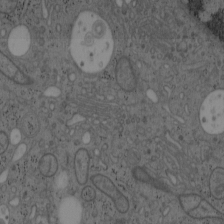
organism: Mouse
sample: OT-I killer T cells with ID8 ovarian cancer cells